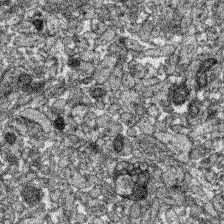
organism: Zebrafish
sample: Larval olfactory bulb